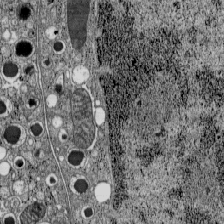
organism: C57BL Mouse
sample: Pancreatic islet